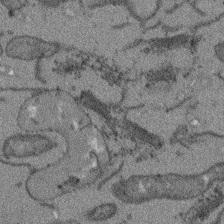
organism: Arabidopsis thaliana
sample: Root tip